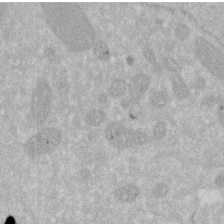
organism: Human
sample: HIV infected U937 cells